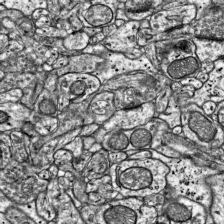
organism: Mouse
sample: Visual Cortex